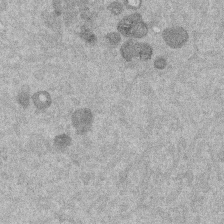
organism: Mouse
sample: Dividing mouse embryo 1 cell stage